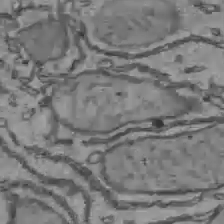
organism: C57BL Mouse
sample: Liver